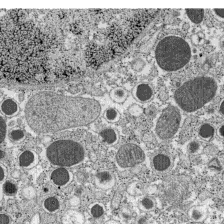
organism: C57BL Mouse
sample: Pancreatic islet